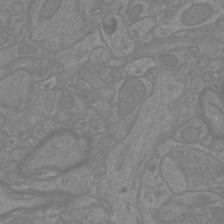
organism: Mouse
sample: Cortical neurons